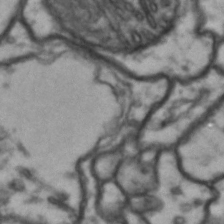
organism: Drosophila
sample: Brain